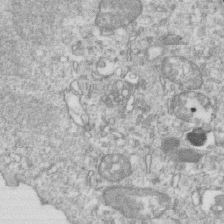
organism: Mouse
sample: Activated OT-1 CD8+ T cells